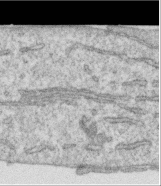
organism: Human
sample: Centriole in RPE cells